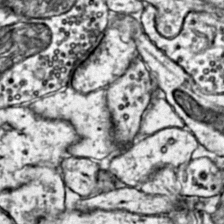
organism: Mouse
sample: Primary visual cortex